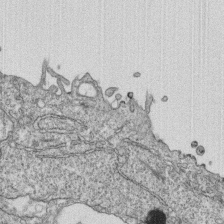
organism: Human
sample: HeLa cell HIV synapse